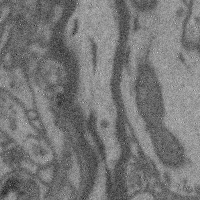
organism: Mouse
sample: Cerebral cortex